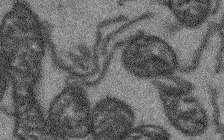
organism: Arabidopsis thaliana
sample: Root tip